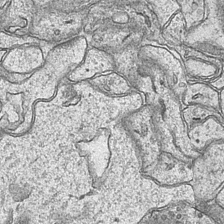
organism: Mouse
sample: CA1 Hippocampus